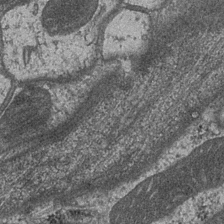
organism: Drosophila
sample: Optic medulla